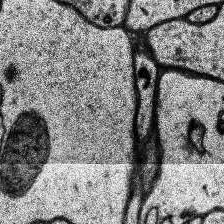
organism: Human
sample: Temporal Lobe